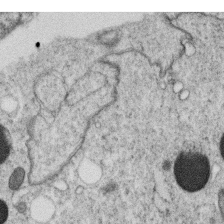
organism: C. elegans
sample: C. elegans oocyte; sperm cells